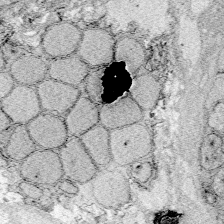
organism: Zebrafish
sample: Whole-Brain